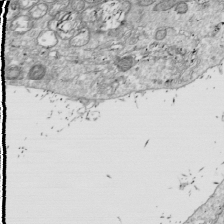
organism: Drosophila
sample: Cell division; meiosis; drosophila spermatocytes